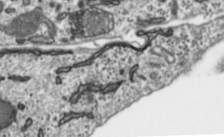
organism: Toxoplasma gondii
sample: Parasites in a vacuole inside a host cell